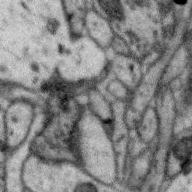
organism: Zebra finch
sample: Brain